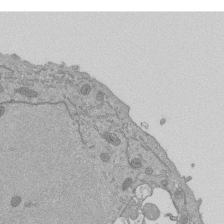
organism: Mouse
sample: ED-1 cell nuclei; centrioles